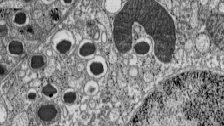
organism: C57BL Mouse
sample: Pancreatic islet